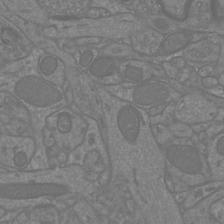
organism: Mouse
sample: Cortical neurons